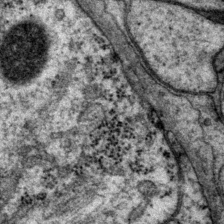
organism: P. pacificus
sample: Pharynx